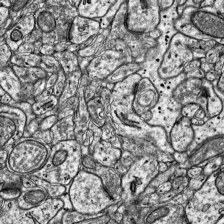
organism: Mouse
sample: Visual Cortex